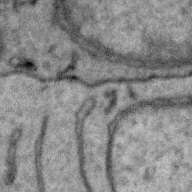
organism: Zebra finch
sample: Brain